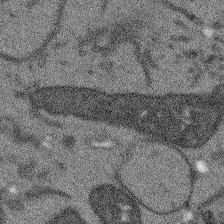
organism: Arabidopsis thaliana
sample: Root tip